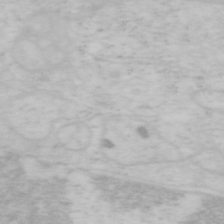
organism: Mouse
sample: OT-I killer T cells with ID8 ovarian cancer cells